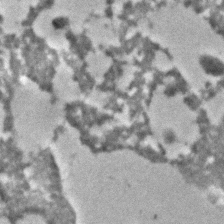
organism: C. elegans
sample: C. elegans embryo